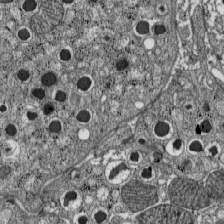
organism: C57BL Mouse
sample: Pancreatic islet